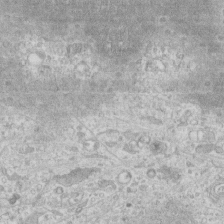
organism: Human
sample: CRL-1474